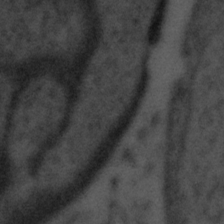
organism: Tuwongella immobilis